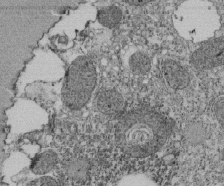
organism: Tetrahymena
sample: Cilia in tetrahymena